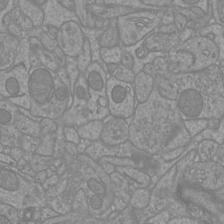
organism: Mouse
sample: Cortical neurons